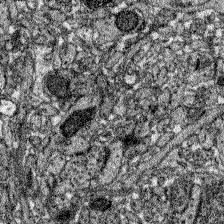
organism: Zebrafish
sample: Larval olfactory bulb